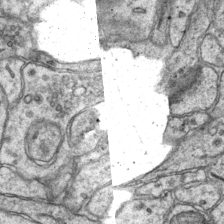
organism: Mouse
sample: CA1 Hippocampus